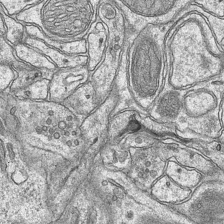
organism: Mouse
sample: CA1 Hippocampus